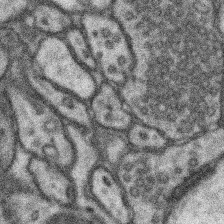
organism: Mouse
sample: Somatosensory cortex neuropil